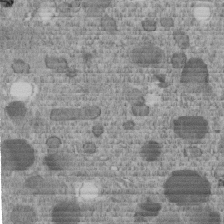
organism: C. elegans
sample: C. elegans embryo early stage